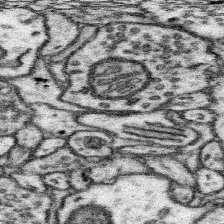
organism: Mouse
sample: Somatosensory cortex neuropil